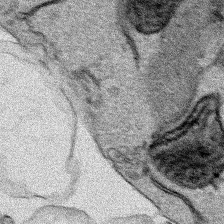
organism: Human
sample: Mitochondria in HCT116 cells